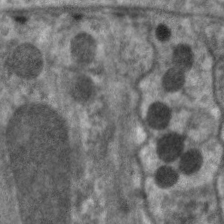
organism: C. elegans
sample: Pharynx